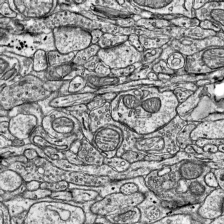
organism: Mouse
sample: Visual Cortex